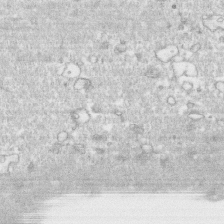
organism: Human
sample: CRL-1474